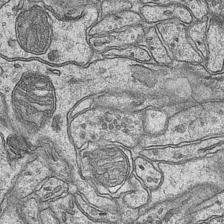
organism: Mouse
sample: CA1 Hippocampus